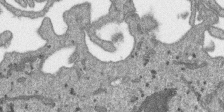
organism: Human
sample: Lung epithelial cells infected with SARS-CoV-2